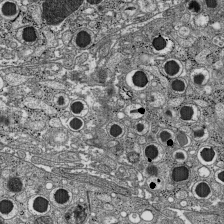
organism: C57BL Mouse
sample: Pancreatic islet